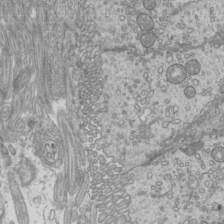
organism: Mouse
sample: Cilia; mouse epididymis